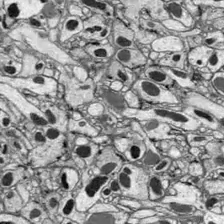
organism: Drosophila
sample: Optic lobe